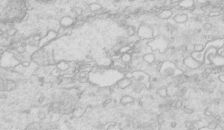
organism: Mouse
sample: Multiciliated cells